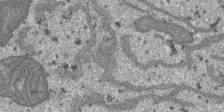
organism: Human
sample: Lung epithelial cells infected with SARS-CoV-2